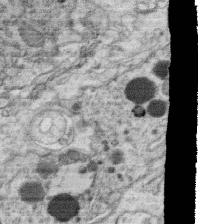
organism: C. elegans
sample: C. elegans oocyte; sperm cells